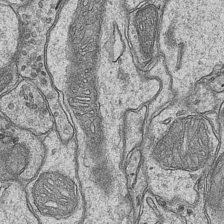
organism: Mouse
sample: CA1 Hippocampus